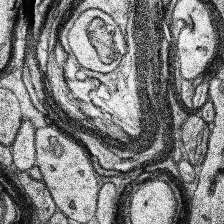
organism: Human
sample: Temporal Lobe